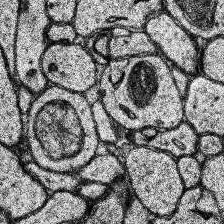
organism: Human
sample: Temporal Lobe